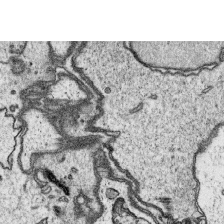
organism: Platynereis dumerilii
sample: Parapodia